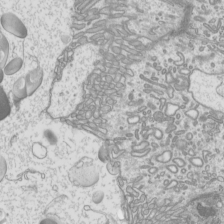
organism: Mouse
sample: Cilia; mouse epididymis